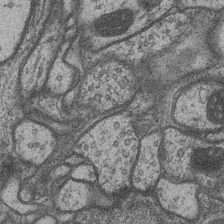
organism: Drosophila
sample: Optic medulla